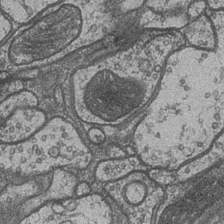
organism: Drosophila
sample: Optic medulla